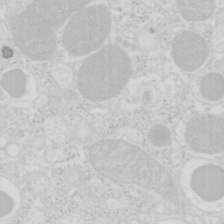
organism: Mouse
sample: Pancreas